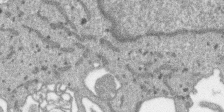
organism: Human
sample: Lung epithelial cells infected with SARS-CoV-2